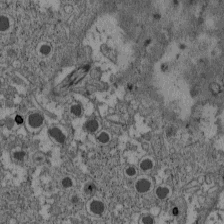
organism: C57BL Mouse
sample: Pancreatic islet